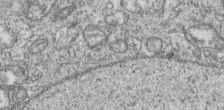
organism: Human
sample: HeLa cell HIV synapse